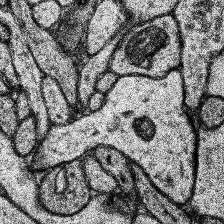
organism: Human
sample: Temporal Lobe